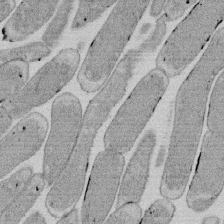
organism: E. coli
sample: Bacterial nucleoid